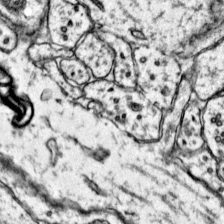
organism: Mouse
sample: Primary visual cortex